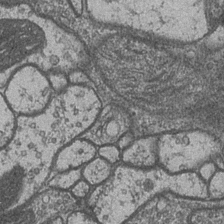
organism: Drosophila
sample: Optic medulla